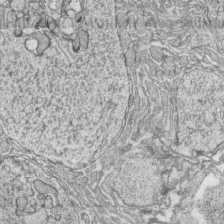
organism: Zebrafish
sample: synaptic ribbons in rod cells and cone cells